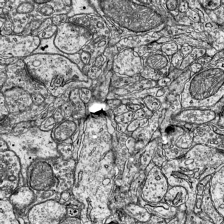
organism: Mouse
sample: Visual Cortex